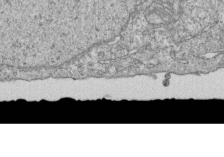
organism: Human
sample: HeLa cell HIV synapse